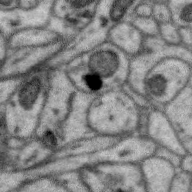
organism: Zebra finch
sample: Brain